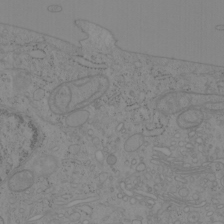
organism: Human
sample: HeLa cells